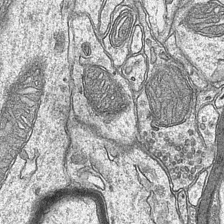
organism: Mouse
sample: CA1 Hippocampus